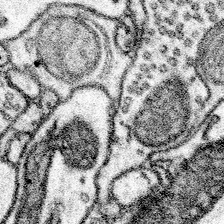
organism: Mouse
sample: Somatosensory cortex neuropil